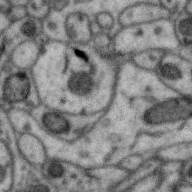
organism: Zebra finch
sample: Brain